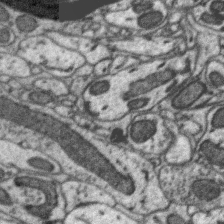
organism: Zebra finch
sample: Brain